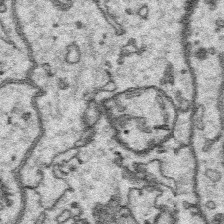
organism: Platynereis dumerilii